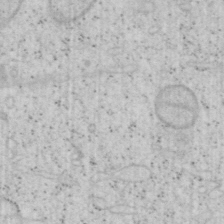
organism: Human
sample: HeLa cells